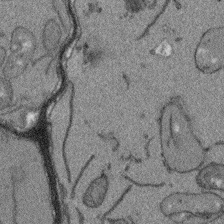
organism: Arabidopsis thaliana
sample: Root tip